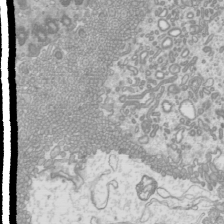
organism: Mouse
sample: Cilia; mouse epididymis